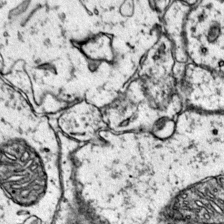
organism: Mouse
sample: Primary visual cortex